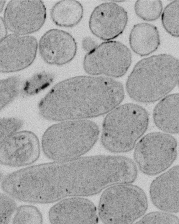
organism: E. coli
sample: Bacterial nucleoid